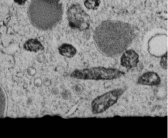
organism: C. elegans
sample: C. elegans embryo early stage